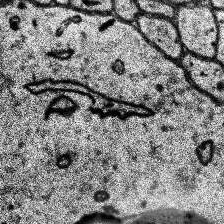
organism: Human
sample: Temporal Lobe